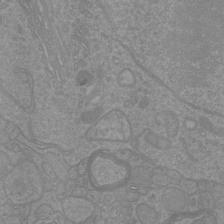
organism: Mouse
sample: Cortical neurons